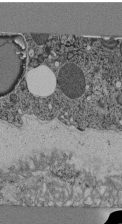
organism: C. elegans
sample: C. elegans pharynx